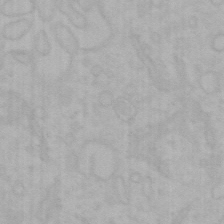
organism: Mouse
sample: Choroid plexus